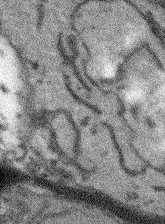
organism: Arabidopsis thaliana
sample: Root tip